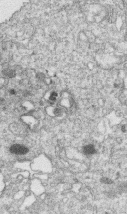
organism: Human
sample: HeLa cell HIV synapse